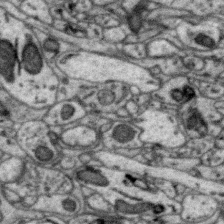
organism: Zebra finch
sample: Brain